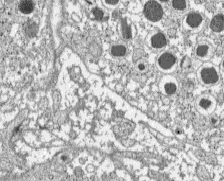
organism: C57BL Mouse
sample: Pancreatic islet